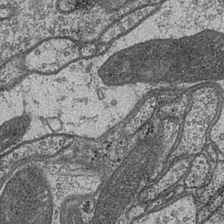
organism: Drosophila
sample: Optic medulla